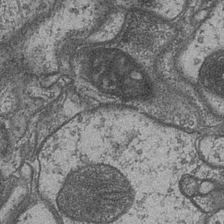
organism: Drosophila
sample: Optic medulla